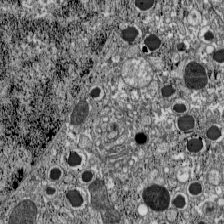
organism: C57BL Mouse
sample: Pancreatic islet